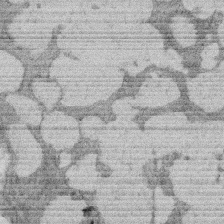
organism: Rat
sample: Salivary granule